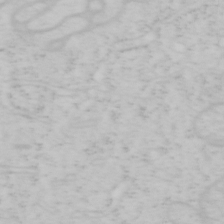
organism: Mouse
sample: OT-I killer T cells with ID8 ovarian cancer cells